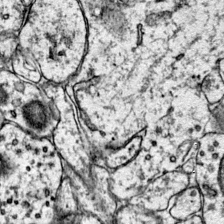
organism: Mouse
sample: Primary visual cortex